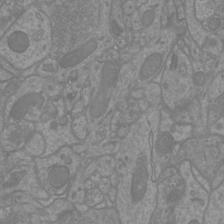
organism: Mouse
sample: Cortical neurons